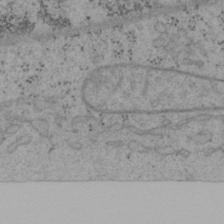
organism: Human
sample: HeLa cells